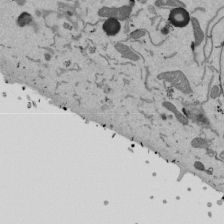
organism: Mouse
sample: ED-1 cell nuclei; centrioles